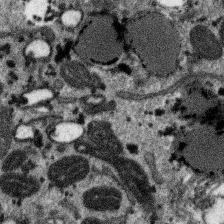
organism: Human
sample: Lung epithelial cells infected with SARS-CoV-2